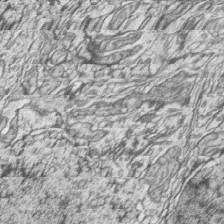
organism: Zebrafish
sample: synaptic ribbons in rod cells and cone cells